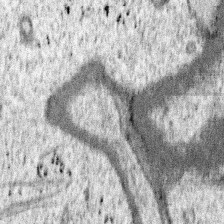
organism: Human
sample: HeLa cells